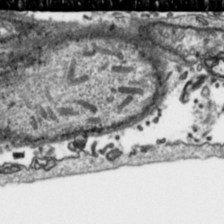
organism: Toxoplasma gondii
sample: Parasites in a vacuole inside a host cell